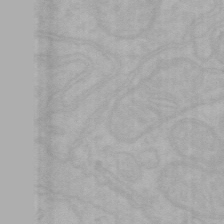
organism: Mouse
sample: Choroid plexus